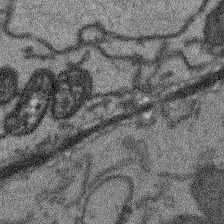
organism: Arabidopsis thaliana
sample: Root tip